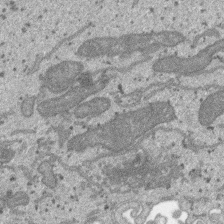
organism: Human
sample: Lung epithelial cells infected with SARS-CoV-2